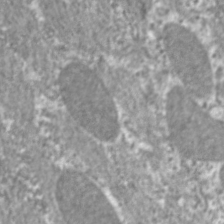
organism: C. elegans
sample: Pharynx